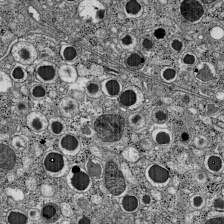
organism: C57BL Mouse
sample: Pancreatic islet